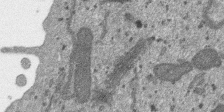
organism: Human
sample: Lung epithelial cells infected with SARS-CoV-2